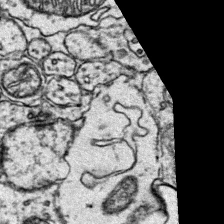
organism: Mouse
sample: Primary visual cortex